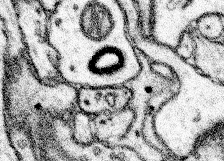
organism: Mouse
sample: Somatosensory cortex neuropil